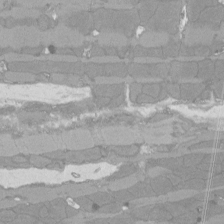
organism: Rat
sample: Left ventricle